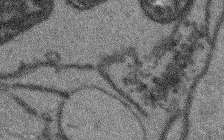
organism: Arabidopsis thaliana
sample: Root tip